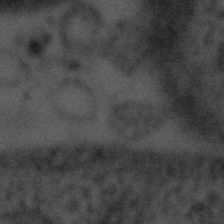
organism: Tuwongella immobilis